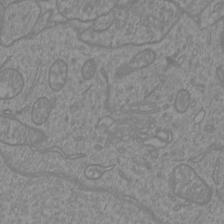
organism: Mouse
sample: Cortical neurons